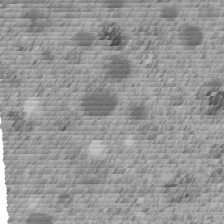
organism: C. elegans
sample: C. elegans embryo early stage